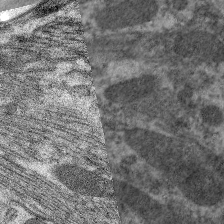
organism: C. elegans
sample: Pharynx